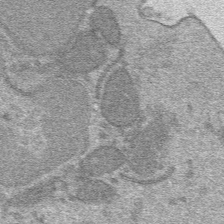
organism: Mouse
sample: Mouse hepatocytes